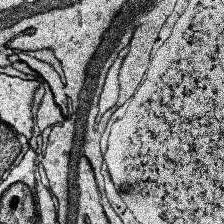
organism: Human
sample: Temporal Lobe